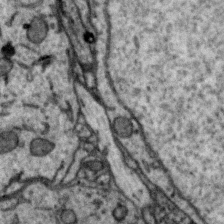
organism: Zebra finch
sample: Brain